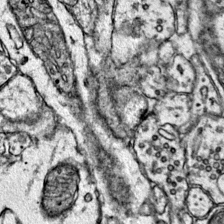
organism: Mouse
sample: Primary visual cortex